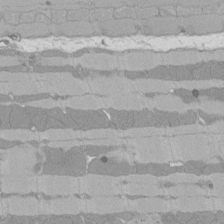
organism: Rat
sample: Left ventricle